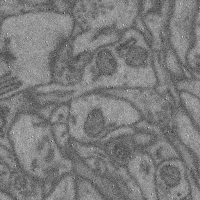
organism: Mouse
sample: Cerebral cortex